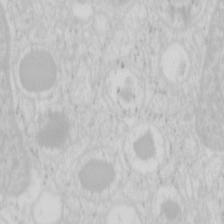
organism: Mouse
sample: Pancreas